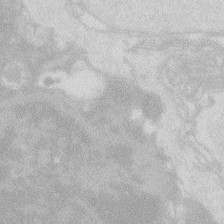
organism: Zebrafish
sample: Macrophage